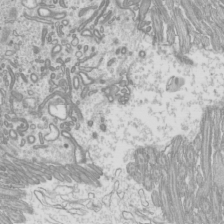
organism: Mouse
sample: Cilia; mouse epididymis